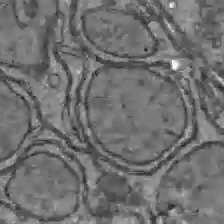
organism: C57BL Mouse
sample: Liver